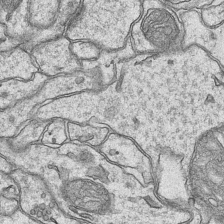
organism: Mouse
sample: CA1 Hippocampus